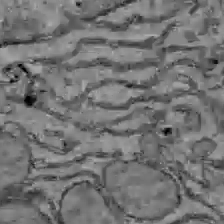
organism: C57BL Mouse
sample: Liver